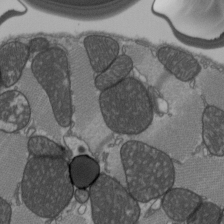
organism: C57BL Mouse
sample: Heart